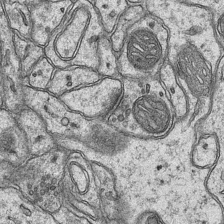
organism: Mouse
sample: CA1 Hippocampus